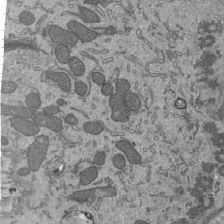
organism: Mouse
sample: Mouse epididymis efferent ductule cilia